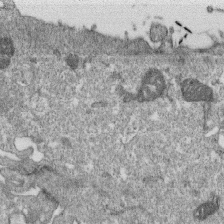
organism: African green monkey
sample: Vero E6 cells infected with SARS-CoV-2